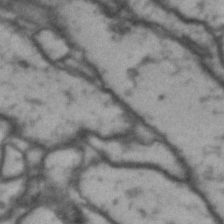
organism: Drosophila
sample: Brain